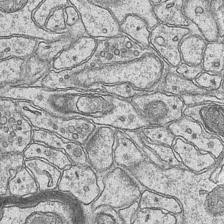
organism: Mouse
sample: CA1 Hippocampus